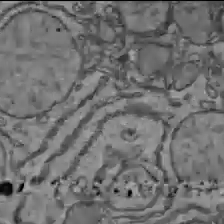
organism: C57BL Mouse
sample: Liver